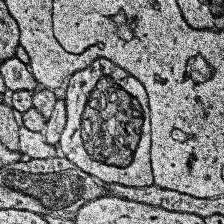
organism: Human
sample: Temporal Lobe